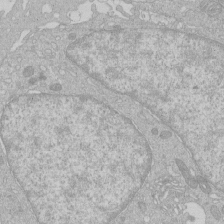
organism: Human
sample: Macrophage cells